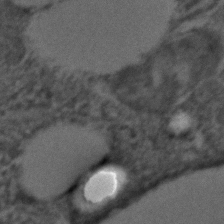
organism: C. elegans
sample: C. elegans embryo